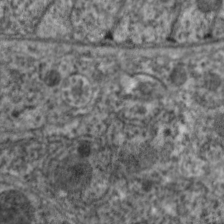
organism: C. elegans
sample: Pharynx